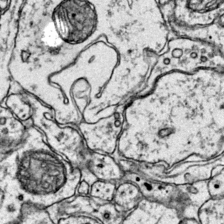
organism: Mouse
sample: Primary visual cortex